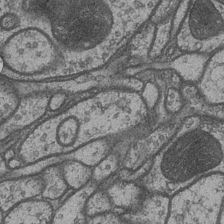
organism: Drosophila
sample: Optic medulla